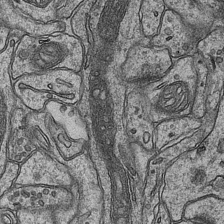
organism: Mouse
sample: CA1 Hippocampus